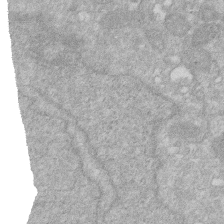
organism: Human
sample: HIV infected U937 cells